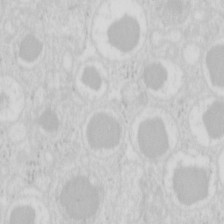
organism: Mouse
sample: Pancreas